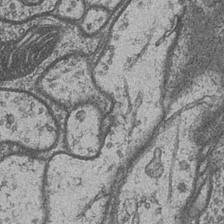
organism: Drosophila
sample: Optic medulla